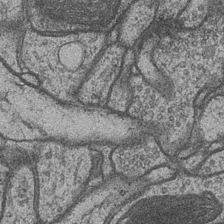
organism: Drosophila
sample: Optic medulla